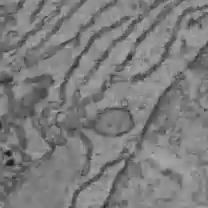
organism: C57BL Mouse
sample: Liver